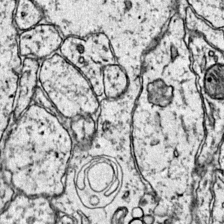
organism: Mouse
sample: Primary visual cortex